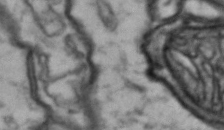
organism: Drosophila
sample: Brain